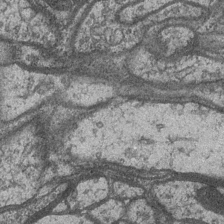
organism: Drosophila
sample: Optic medulla